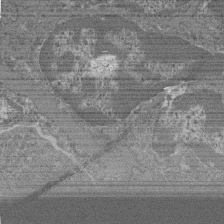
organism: Mouse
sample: Glomerulus